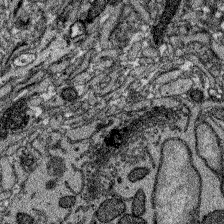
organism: Zebrafish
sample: Larval olfactory bulb